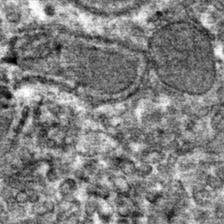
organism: Mouse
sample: Mouse hepatocytes